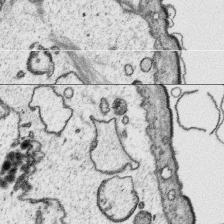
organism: Platynereis dumerilii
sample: Parapodia